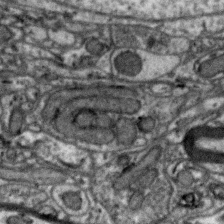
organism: Zebra finch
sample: Brain